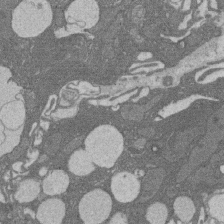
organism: Rat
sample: Salivary granule